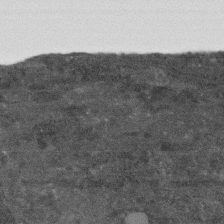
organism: Human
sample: Fibroblast cells